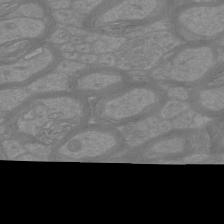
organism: Mouse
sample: Cortical neurons